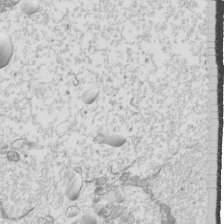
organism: Mouse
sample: Cilia; mouse epididymis